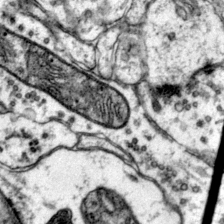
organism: Mouse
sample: Primary visual cortex